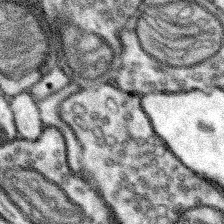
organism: Mouse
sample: Somatosensory cortex neuropil